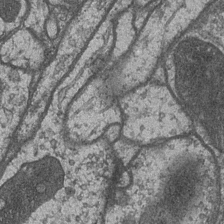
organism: Drosophila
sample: Optic medulla